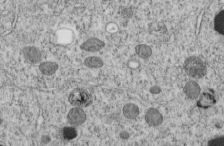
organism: C. elegans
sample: C. elegans embryo early stage